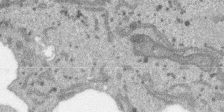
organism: Human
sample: Lung epithelial cells infected with SARS-CoV-2